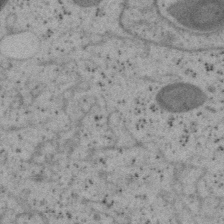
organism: Human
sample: HeLa cells